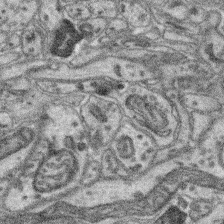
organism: Mouse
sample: Retina